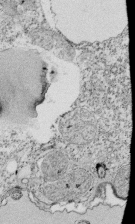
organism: Tetrahymena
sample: Cilia in tetrahymena